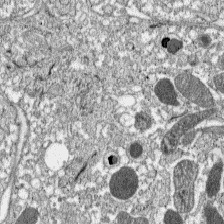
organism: C57BL Mouse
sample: Pancreatic islet